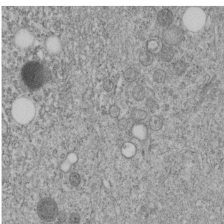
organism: C. elegans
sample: C. elegans embryo early stage